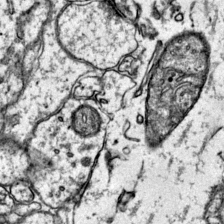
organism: Mouse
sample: Primary visual cortex